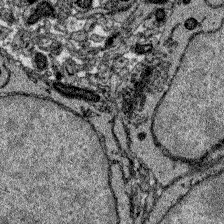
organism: Zebrafish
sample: Larval olfactory bulb